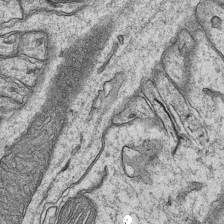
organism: Mouse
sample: CA1 Hippocampus